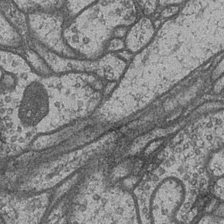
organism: Drosophila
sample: Optic medulla